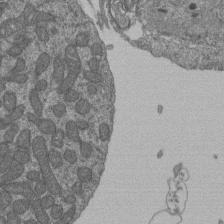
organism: Human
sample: Retinal organoid Rod and Cone cells